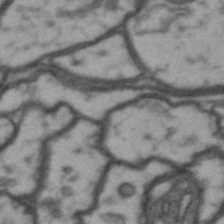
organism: Drosophila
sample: Brain